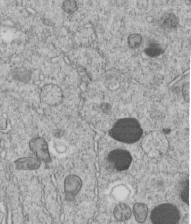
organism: C. elegans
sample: C. elegans embryo early stage